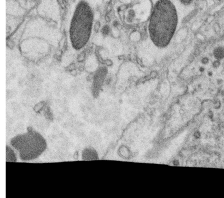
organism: C. elegans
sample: C. elegans oocyte; sperm cells